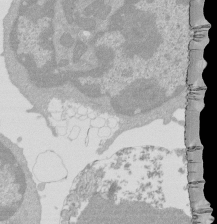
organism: Mouse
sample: Activated Pmel transgenic CD8+ T Cells